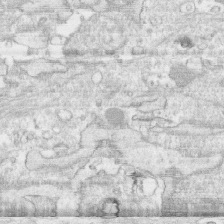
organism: Human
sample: CRL-1474